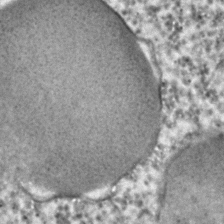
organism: C. elegans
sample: C. elegans embryo